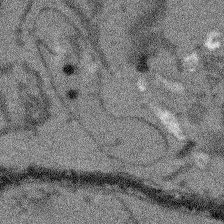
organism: Arabidopsis thaliana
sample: Root tip